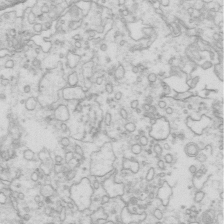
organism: Mouse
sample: Multiciliated cells